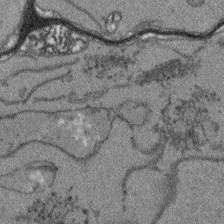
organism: Arabidopsis thaliana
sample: Root tip